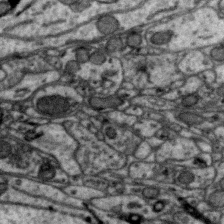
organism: Zebra finch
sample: Brain